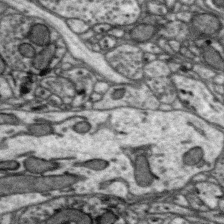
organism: Zebra finch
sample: Brain